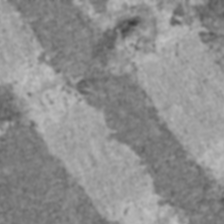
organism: C57BL Mouse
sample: Heart